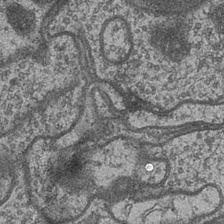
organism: Drosophila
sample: Optic medulla